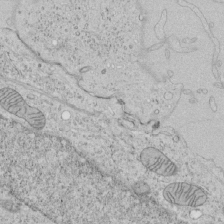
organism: Human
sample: Mitochondria in HCT116 cells